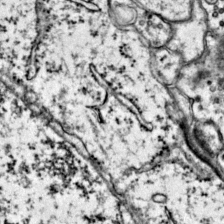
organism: Mouse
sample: Primary visual cortex